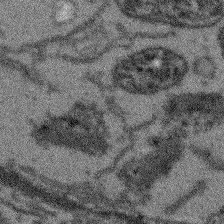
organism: Arabidopsis thaliana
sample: Root tip